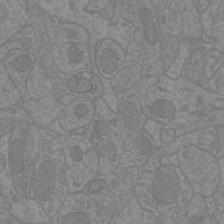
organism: Mouse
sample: Cortical neurons